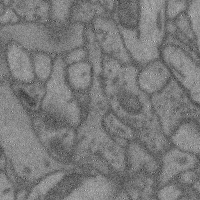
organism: Mouse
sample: Cerebral cortex